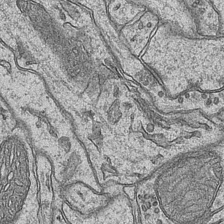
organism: Mouse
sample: CA1 Hippocampus